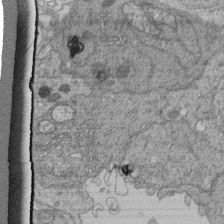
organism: Human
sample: Retinal organoid Rod and Cone cells